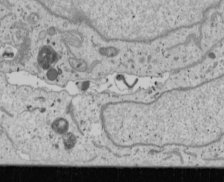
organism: Human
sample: Mitochondria in U2OS cells